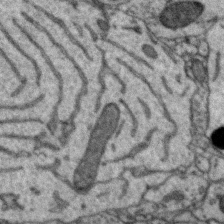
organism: Zebra finch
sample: Brain